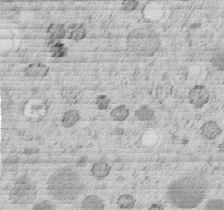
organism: C. elegans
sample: C. elegans embryo early stage